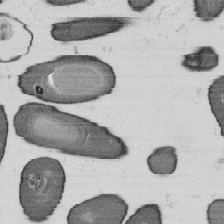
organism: B. subtilis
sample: Bacterial spore